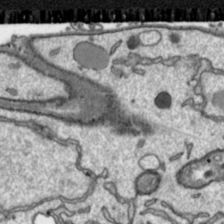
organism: Toxoplasma gondii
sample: Parasites in a vacuole inside a host cell